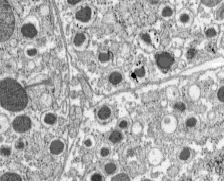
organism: C57BL Mouse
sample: Pancreatic islet